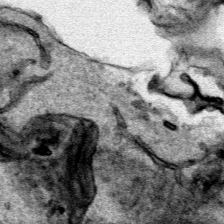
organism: Human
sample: Mitochondria in HCT116 cells